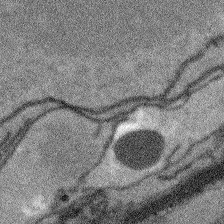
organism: Arabidopsis thaliana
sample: Root tip